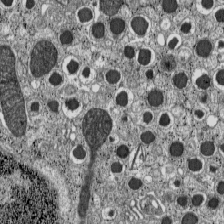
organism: C57BL Mouse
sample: Pancreatic islet